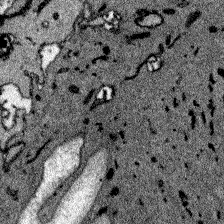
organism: Zebrafish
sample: Larval olfactory bulb